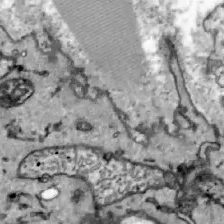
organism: Zebrafish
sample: Actinotrichia fibers